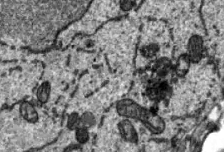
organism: Human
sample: HeLa cells